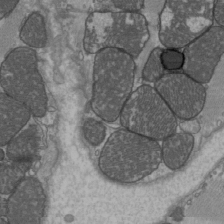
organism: C57BL Mouse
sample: Heart